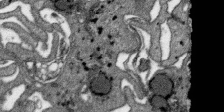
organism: Human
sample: Lung epithelial cells, uninfected (mock) control